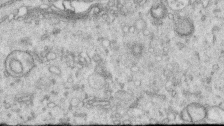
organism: Human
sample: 1205lu cells